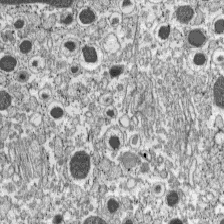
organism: C57BL Mouse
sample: Pancreatic islet